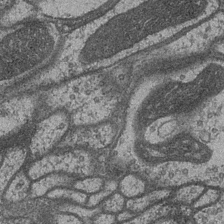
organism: Drosophila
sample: Optic medulla